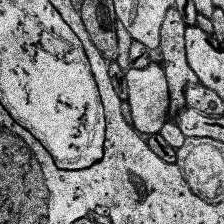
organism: Human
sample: Temporal Lobe